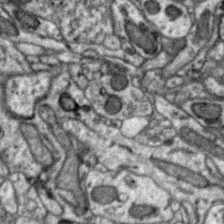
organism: Zebra finch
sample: Brain